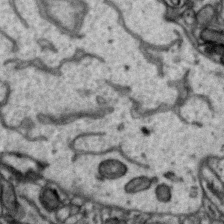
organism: Zebra finch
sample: Brain